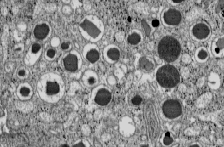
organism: C57BL Mouse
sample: Pancreatic islet